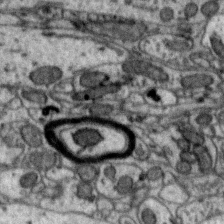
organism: Zebra finch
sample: Brain